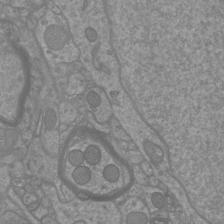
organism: Mouse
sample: Cortical neurons